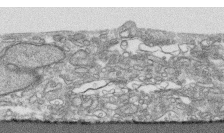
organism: Human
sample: CRL-1474